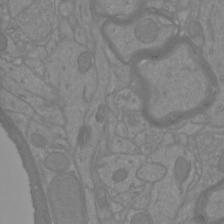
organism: Mouse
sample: Cortical neurons